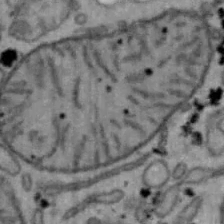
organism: Mouse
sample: Liver